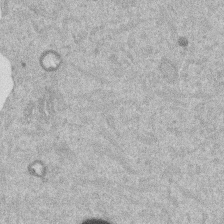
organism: Mouse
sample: Dividing mouse embryo 1 cell stage